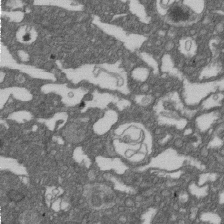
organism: Drosophila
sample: Nephrocyte